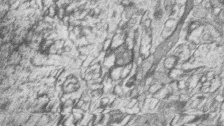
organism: Zebrafish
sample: synaptic ribbons in rod cells and cone cells